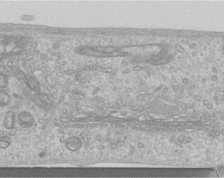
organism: Human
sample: Centriole in RPE cells